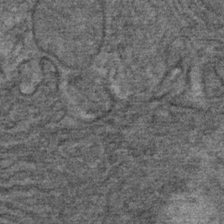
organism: Mouse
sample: Mouse Salivary gland